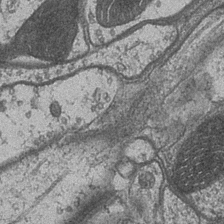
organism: Drosophila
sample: Optic medulla